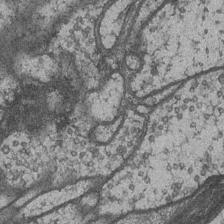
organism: Drosophila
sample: Optic medulla